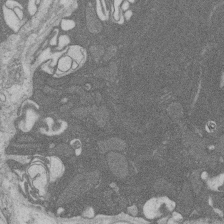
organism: Rat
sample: Salivary granule